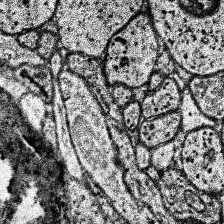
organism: Human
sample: Temporal Lobe